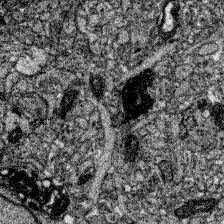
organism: Zebrafish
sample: Larval olfactory bulb